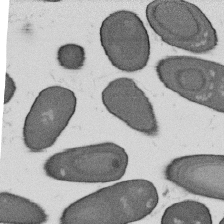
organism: B. subtilis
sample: Bacterial spore